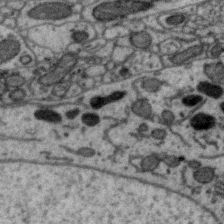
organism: Zebra finch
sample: Brain